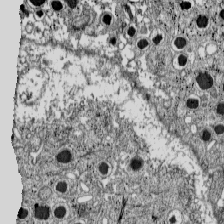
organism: C57BL Mouse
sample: Pancreatic islet